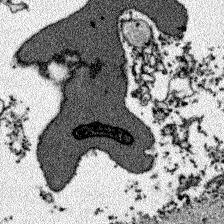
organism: Zebrafish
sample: Larval olfactory bulb